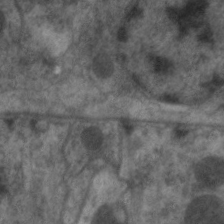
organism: C. elegans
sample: Pharynx